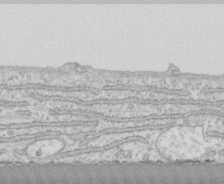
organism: Human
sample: CRL-1474